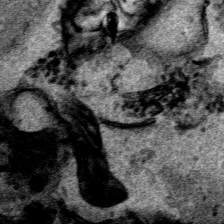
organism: Human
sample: Mitochondria in HCT116 cells